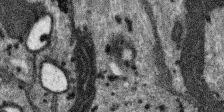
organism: Human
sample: Lung epithelial cells infected with SARS-CoV-2